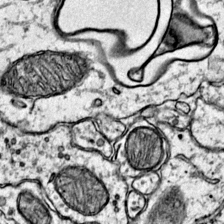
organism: Mouse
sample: Primary visual cortex